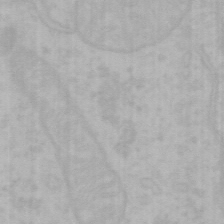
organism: Mouse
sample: Choroid plexus